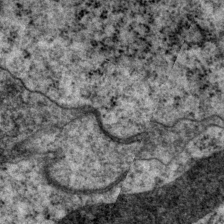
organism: P. pacificus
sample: Pharynx